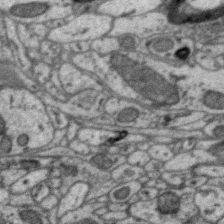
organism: Zebra finch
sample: Brain